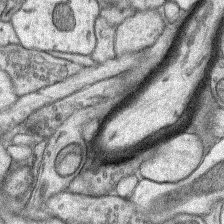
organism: Rat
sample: Hippocampus